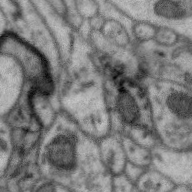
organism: Zebra finch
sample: Brain